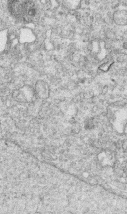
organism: Human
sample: HeLa cell HIV synapse